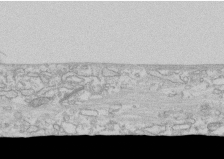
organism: Human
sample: CRL-1474